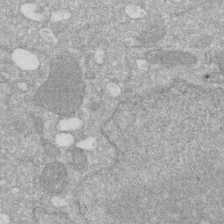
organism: Human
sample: HIV infected U937 cells